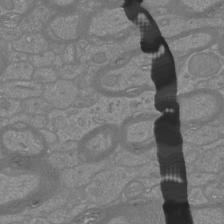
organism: Mouse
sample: Cortical neurons